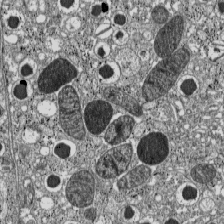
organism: C57BL Mouse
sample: Pancreatic islet